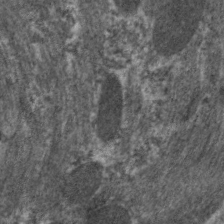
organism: C. elegans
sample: Pharynx